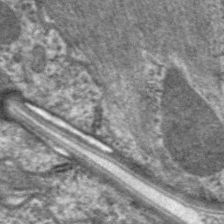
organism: C. elegans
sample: Pharynx